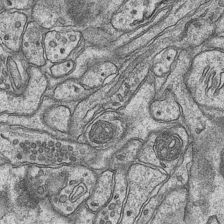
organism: Mouse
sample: CA1 Hippocampus